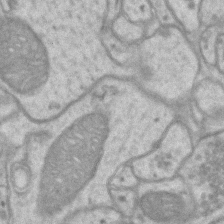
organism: Mouse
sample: CA1 Hippocampus